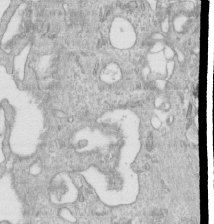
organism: Human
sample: Centriole in RPE cells